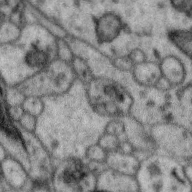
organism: Zebra finch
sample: Brain